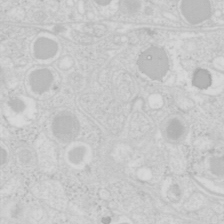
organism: Mouse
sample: Pancreas